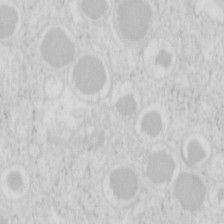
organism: Mouse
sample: Pancreas